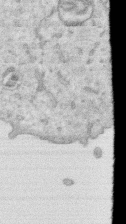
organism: Human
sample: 1205lu cells